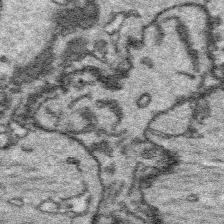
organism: Platynereis dumerilii